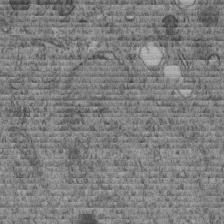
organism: C. elegans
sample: C. elegans embryo early stage